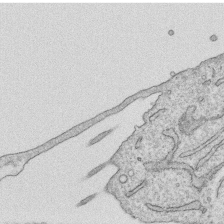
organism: Human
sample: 1205lu cells